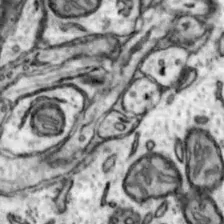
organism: Mouse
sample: Nucleus accumbens